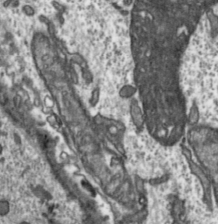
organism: Toxoplasma gondii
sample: Parasites in a vacuole inside a host cell